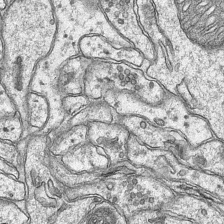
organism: Mouse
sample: CA1 Hippocampus